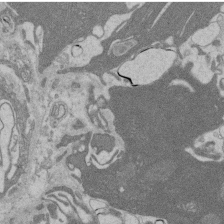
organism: Rat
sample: Salivary granule